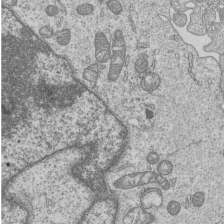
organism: Human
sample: MDA-MB-231 cells